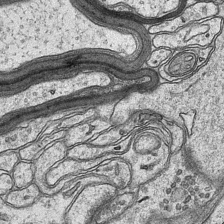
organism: Mouse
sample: CA1 Hippocampus